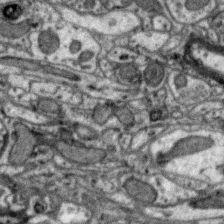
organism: Zebra finch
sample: Brain